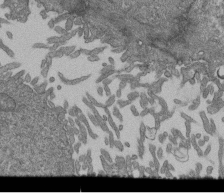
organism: Human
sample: Retinal organoid Rod and Cone cells